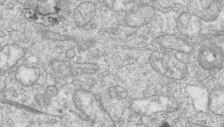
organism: Human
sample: HeLa cell HIV synapse